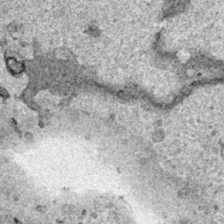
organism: Human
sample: Mitochondria in HCT116 cells